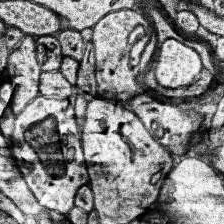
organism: Human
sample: Temporal Lobe